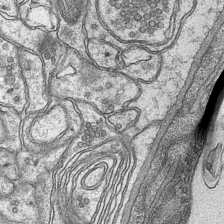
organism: Mouse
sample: CA1 Hippocampus